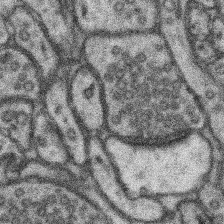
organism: Mouse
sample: Somatosensory cortex neuropil